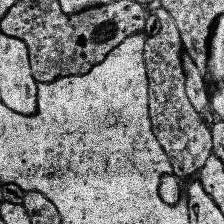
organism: Human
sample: Temporal Lobe